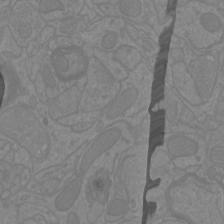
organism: Mouse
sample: Cortical neurons